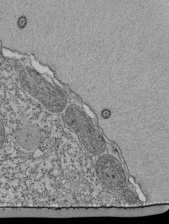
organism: Tetrahymena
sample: Cilia in tetrahymena